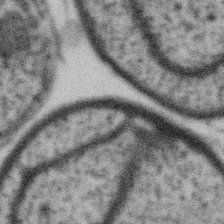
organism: Gemmata obscuriglobus